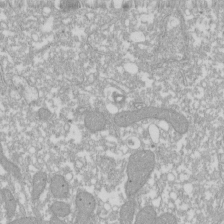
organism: Xenopus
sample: Cilia; centrioles in frog embryo cells